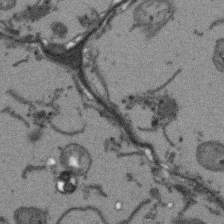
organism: Arabidopsis thaliana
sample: Root tip